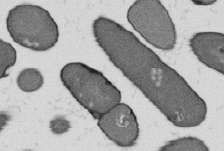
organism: B. subtilis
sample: Bacterial spore